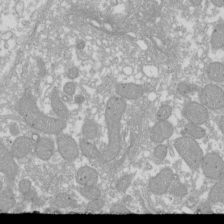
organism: Xenopus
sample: Cilia; centrioles in frog embryo cells